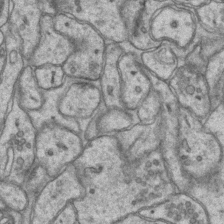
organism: Mouse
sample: CA1 Hippocampus